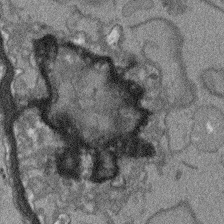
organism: Arabidopsis thaliana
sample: Root tip